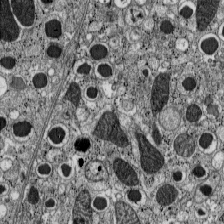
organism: C57BL Mouse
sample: Pancreatic islet